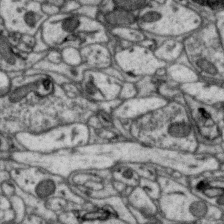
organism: Zebra finch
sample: Brain